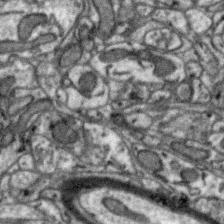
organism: Zebra finch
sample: Brain